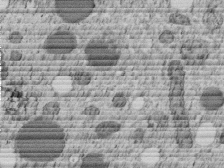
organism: C. elegans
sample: C. elegans embryo early stage